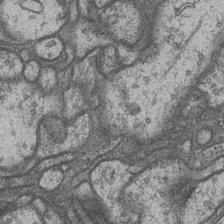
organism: Drosophila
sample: Optic medulla